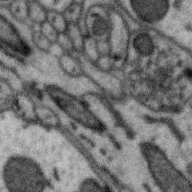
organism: Zebra finch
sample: Brain